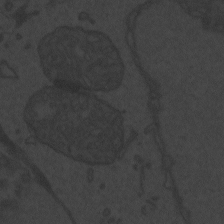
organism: Zebrafish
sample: Macrophage infected with Toxoplasma gondii